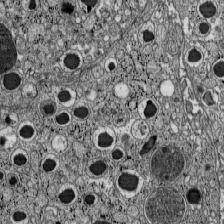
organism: C57BL Mouse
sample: Pancreatic islet